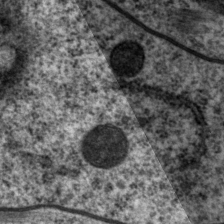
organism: P. pacificus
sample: Pharynx